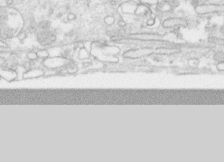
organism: Human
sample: CRL-1474